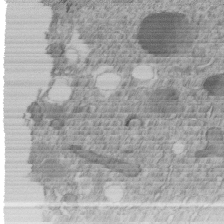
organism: C. elegans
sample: C. elegans embryo early stage